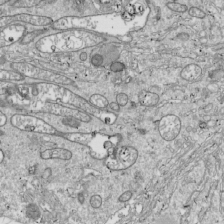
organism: Drosophila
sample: Cell division; meiosis; drosophila spermatocytes